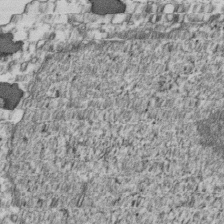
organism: Human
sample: Activated Jurkat CD4+ T cells